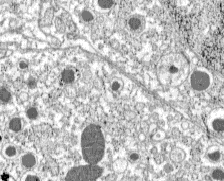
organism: C57BL Mouse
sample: Pancreatic islet